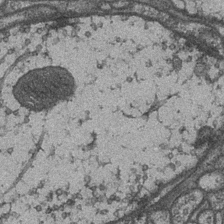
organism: Drosophila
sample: Optic medulla